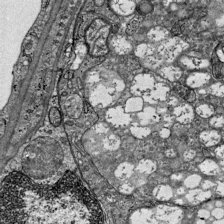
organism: Mouse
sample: Visual Cortex